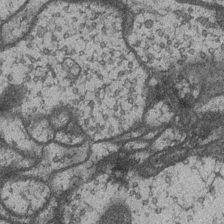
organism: Drosophila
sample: Optic medulla